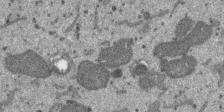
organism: Human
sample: Lung epithelial cells infected with SARS-CoV-2